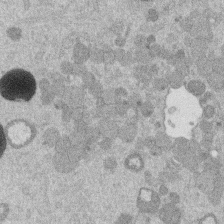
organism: Mouse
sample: Dividing mouse embryo 1 cell stage